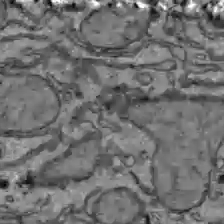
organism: C57BL Mouse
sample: Liver